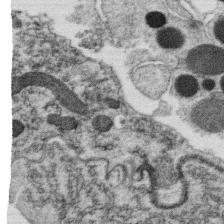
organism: C. elegans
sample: C. elegans oocyte; sperm cells